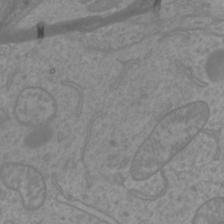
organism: Mouse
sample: Cortical neurons